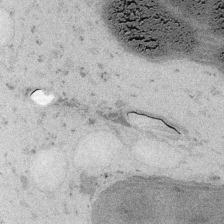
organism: Embia sp.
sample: Silk gland